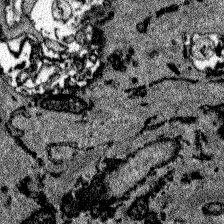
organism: Zebrafish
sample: Larval olfactory bulb